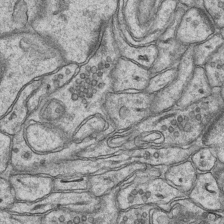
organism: Mouse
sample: CA1 Hippocampus